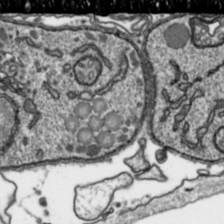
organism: Toxoplasma gondii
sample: Parasites in a vacuole inside a host cell